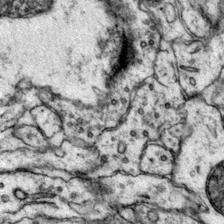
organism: Mouse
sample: Primary visual cortex